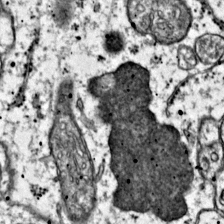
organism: Mouse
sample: Primary visual cortex